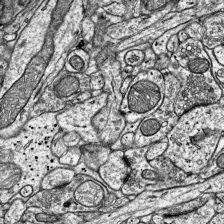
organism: Mouse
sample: Visual Cortex